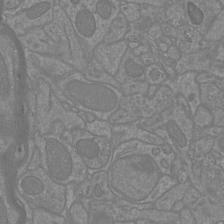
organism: Mouse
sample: Cortical neurons